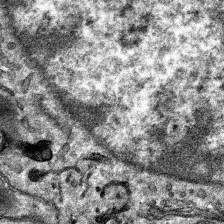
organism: Mouse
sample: Mouse hepatocytes